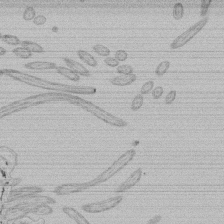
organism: Tetrahymena